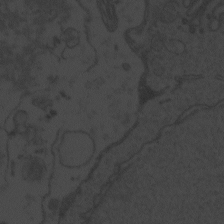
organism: Zebrafish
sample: Macrophage infected with Toxoplasma gondii